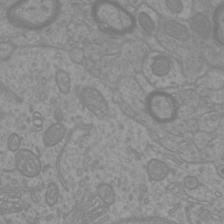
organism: Mouse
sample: Cortical neurons